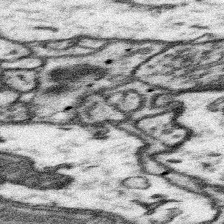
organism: Mouse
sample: Somatosensory cortex neuropil